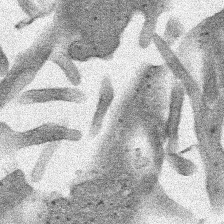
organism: Human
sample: Mitochondria in HCT116 cells